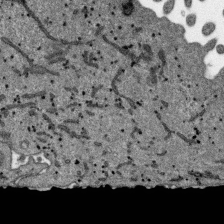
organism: Human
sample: Lung epithelial cells, uninfected (mock) control